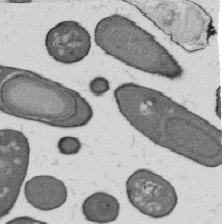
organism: B. subtilis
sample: Bacterial spore